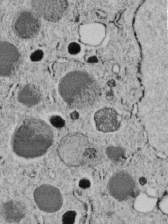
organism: C. elegans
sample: C. elegans embryo early stage